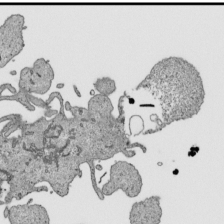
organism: Human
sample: Mitochondria in HCT116 cells